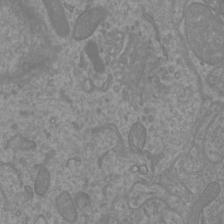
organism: Mouse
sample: Cortical neurons